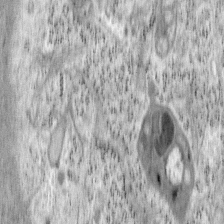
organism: Human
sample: HeLa cells